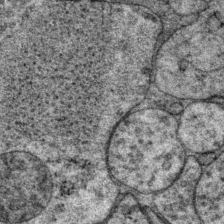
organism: P. pacificus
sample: Pharynx